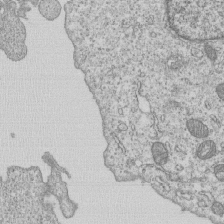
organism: Human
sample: MDA-MB-231 cells